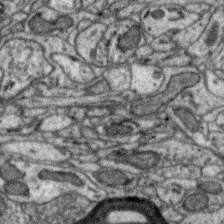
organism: Zebra finch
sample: Brain